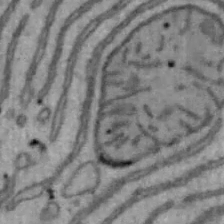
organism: Mouse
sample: Liver